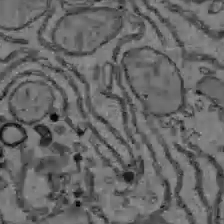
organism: C57BL Mouse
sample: Liver